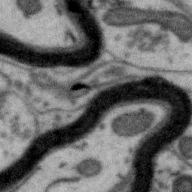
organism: Zebra finch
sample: Brain